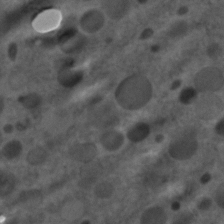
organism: C. elegans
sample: C. elegans embryo